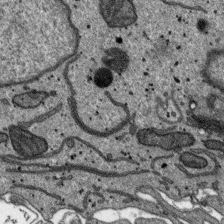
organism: Human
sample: Lung epithelial cells, uninfected (mock) control